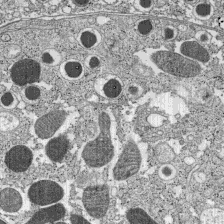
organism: C57BL Mouse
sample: Pancreatic islet